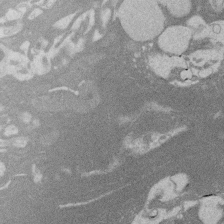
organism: Rat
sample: Salivary granule